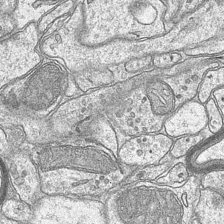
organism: Mouse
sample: CA1 Hippocampus